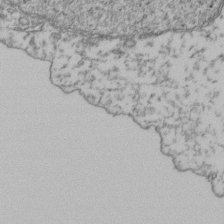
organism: Human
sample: Activated Jurkat CD4+ T cells